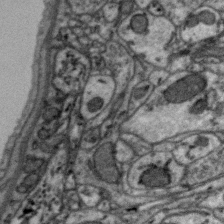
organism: Zebra finch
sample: Brain